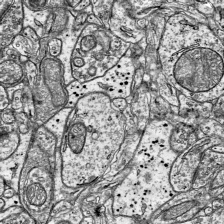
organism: Mouse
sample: Visual Cortex